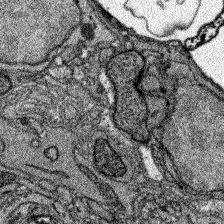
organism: Zebrafish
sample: Larval olfactory bulb